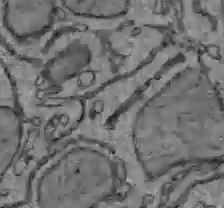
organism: C57BL Mouse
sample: Liver